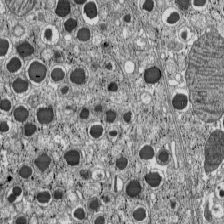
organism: C57BL Mouse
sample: Pancreatic islet